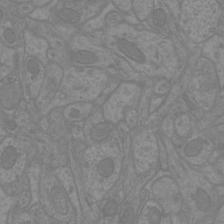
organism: Mouse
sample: Cortical neurons